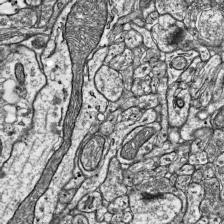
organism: Mouse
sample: Visual Cortex